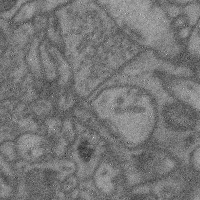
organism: Mouse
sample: Cerebral cortex